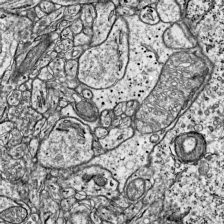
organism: Mouse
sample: Visual Cortex